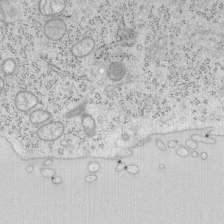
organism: Mouse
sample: OT-I killer T cells with ID8 ovarian cancer cells